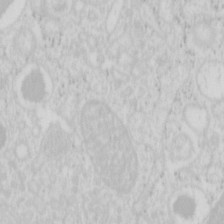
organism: Mouse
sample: Pancreas